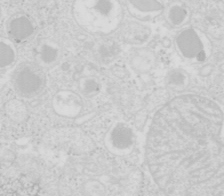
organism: Mouse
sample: Pancreas